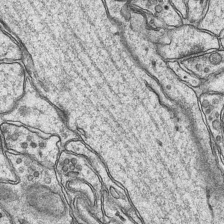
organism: Mouse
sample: CA1 Hippocampus